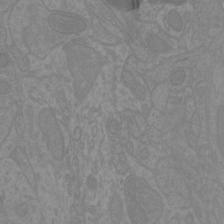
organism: Mouse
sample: Cortical neurons